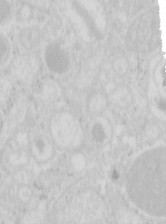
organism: Mouse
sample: Pancreas